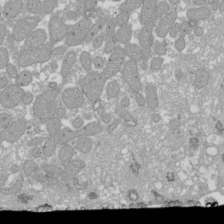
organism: Xenopus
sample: Cilia; centrioles in frog embryo cells